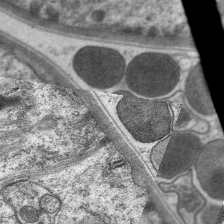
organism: C. elegans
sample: Pharynx